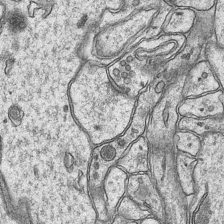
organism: Mouse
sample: CA1 Hippocampus